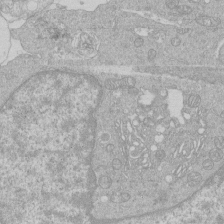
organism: Human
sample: Macrophage cells